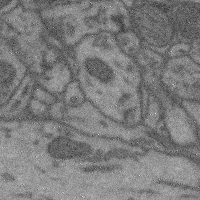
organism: Mouse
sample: Cerebral cortex